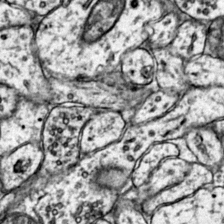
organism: Mouse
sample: Primary visual cortex